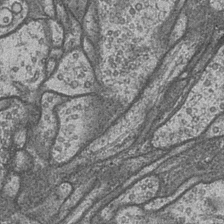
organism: Drosophila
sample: Optic medulla